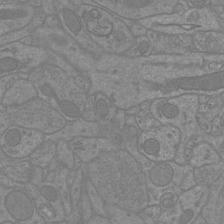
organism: Mouse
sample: Cortical neurons